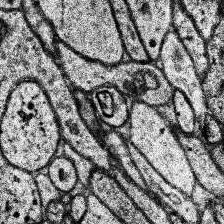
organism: Human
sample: Temporal Lobe